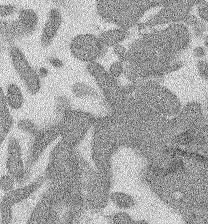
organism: Human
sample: HeLa cells